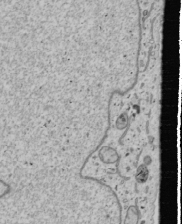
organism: Human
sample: Mitochondria in U2OS cells